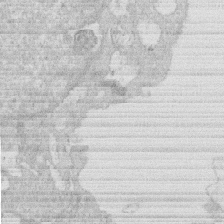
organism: Human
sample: Macrophage cells